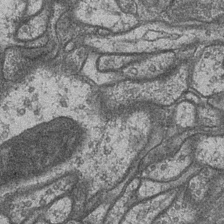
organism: Drosophila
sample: Optic medulla